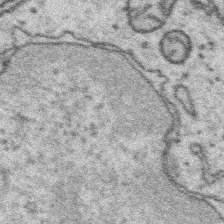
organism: Platynereis dumerilii